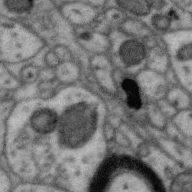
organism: Zebra finch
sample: Brain